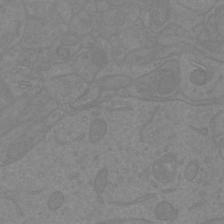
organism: Mouse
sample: Cortical neurons